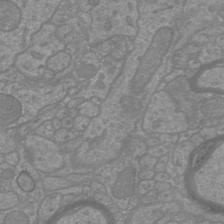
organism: Mouse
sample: Cortical neurons